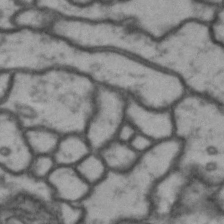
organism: Drosophila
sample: Brain